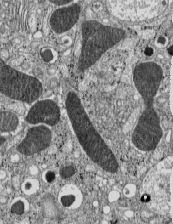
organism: C57BL Mouse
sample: Pancreatic islet